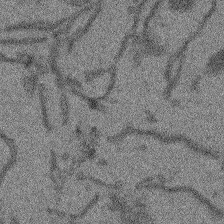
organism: Arabidopsis thaliana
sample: Root tip